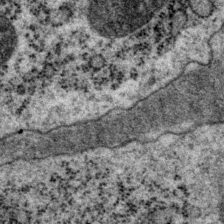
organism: P. pacificus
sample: Pharynx